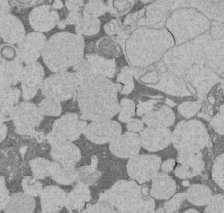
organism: Rat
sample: Salivary granule